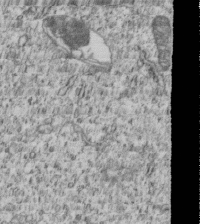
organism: Human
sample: MDA-MB-231 cells